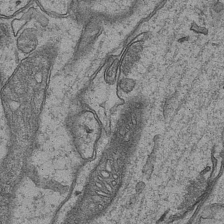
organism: Mouse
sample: CA1 Hippocampus